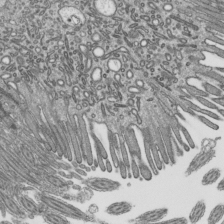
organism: Mouse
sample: Mouse epididymis efferent ductule cilia